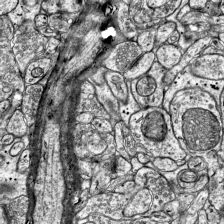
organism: Mouse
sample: Visual Cortex